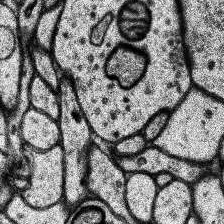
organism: Human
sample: Temporal Lobe